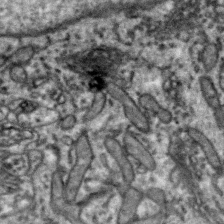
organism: Zebra finch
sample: Brain